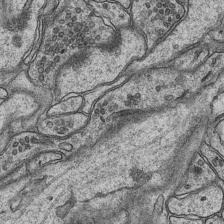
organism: Mouse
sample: CA1 Hippocampus